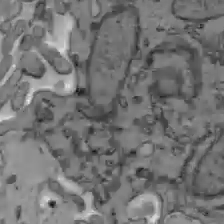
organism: C57BL Mouse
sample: Liver